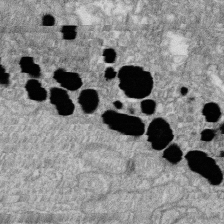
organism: Zebrafish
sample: Cilia; retinal pigment epithelium